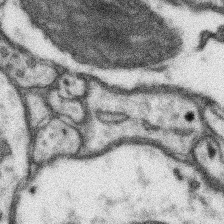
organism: Mouse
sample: Somatosensory cortex neuropil